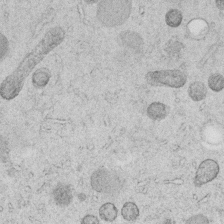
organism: C. elegans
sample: C. elegans embryo early stage